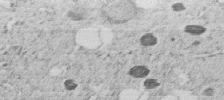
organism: C. elegans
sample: C. elegans embryo early stage